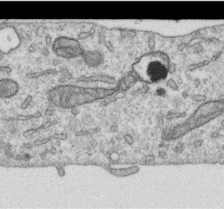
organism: Human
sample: Centriole in RPE cells